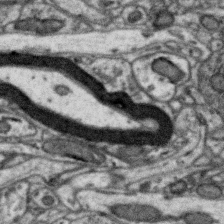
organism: Zebra finch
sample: Brain